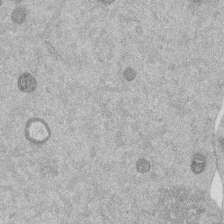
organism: Mouse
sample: Dividing mouse embryo 1 cell stage